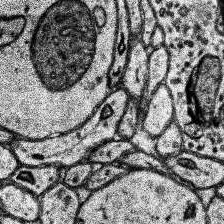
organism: Human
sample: Temporal Lobe